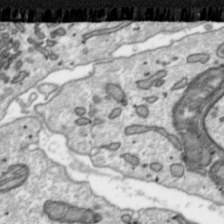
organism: Toxoplasma gondii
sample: Parasites in a vacuole inside a host cell